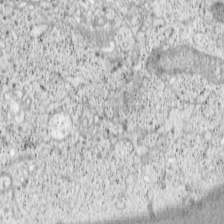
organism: African green monkey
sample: COS-7 cells